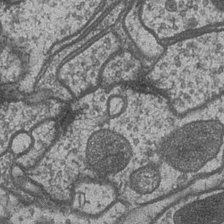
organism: Drosophila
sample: Optic medulla